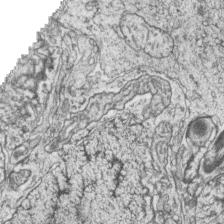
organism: Zebrafish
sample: synaptic ribbons in rod cells and cone cells